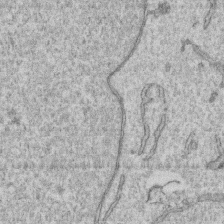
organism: Human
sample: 1205lu cells